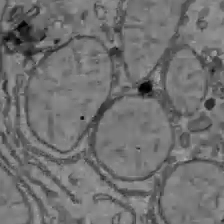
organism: C57BL Mouse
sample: Liver